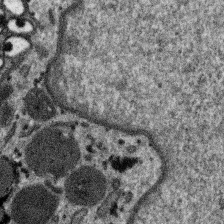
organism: Human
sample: Lung epithelial cells infected with SARS-CoV-2